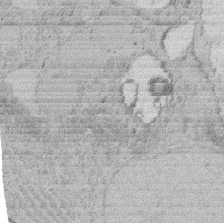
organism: Rat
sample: Salivary granule